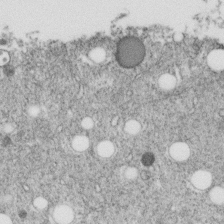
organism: C. elegans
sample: C. elegans embryo early stage